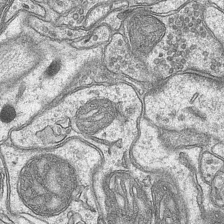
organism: Mouse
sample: CA1 Hippocampus